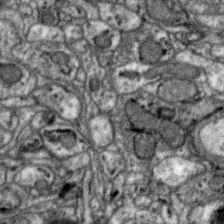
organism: Zebra finch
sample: Brain